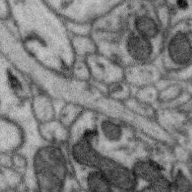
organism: Zebra finch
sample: Brain